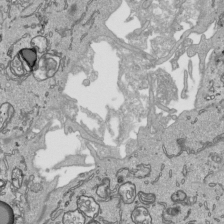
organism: Human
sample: Mitochondria in HCT116 cells